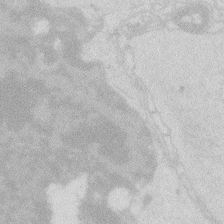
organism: Zebrafish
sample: Macrophage